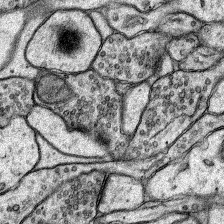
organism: Rat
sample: Hippocampus